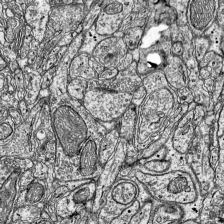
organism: Mouse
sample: Visual Cortex